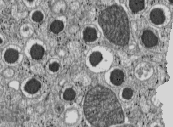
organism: C57BL Mouse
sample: Pancreatic islet